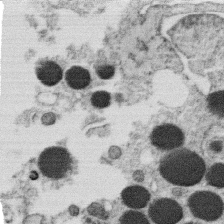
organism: C. elegans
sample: C. elegans oocyte; sperm cells